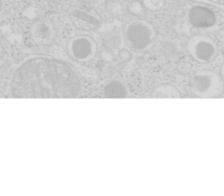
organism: Mouse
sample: Pancreas